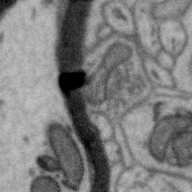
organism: Zebra finch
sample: Brain